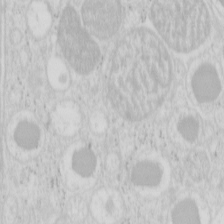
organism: Mouse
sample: Pancreas